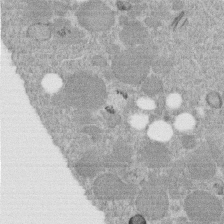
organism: C. elegans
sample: C. elegans embryo early stage